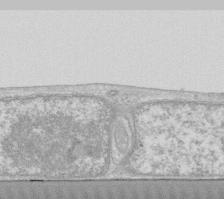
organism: Human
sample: Fibroblast cells